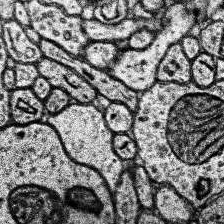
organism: Human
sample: Temporal Lobe